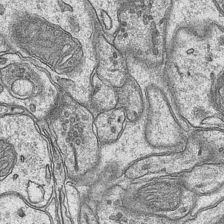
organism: Mouse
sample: CA1 Hippocampus